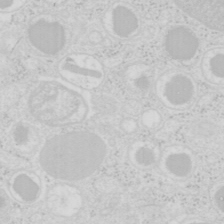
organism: Mouse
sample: Pancreas